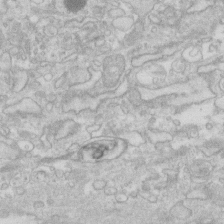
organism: Human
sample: Fibroblast cells